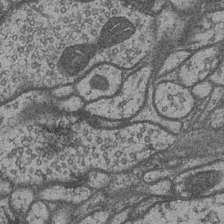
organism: Drosophila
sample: Optic medulla